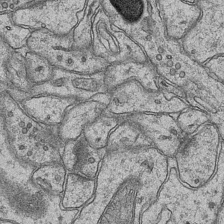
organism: Mouse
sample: CA1 Hippocampus